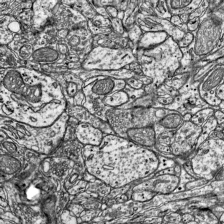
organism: Mouse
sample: Visual Cortex